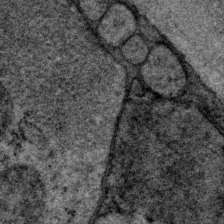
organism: P. pacificus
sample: Pharynx